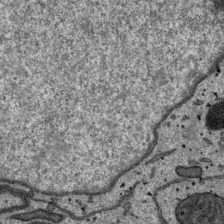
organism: Human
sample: Lung epithelial cells, uninfected (mock) control